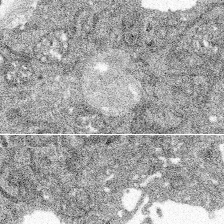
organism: Spongilla lacustris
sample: Multiple